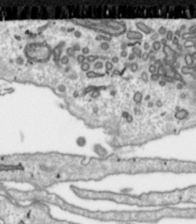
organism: Toxoplasma gondii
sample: Parasites in a vacuole inside a host cell